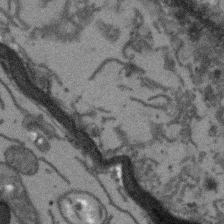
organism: Arabidopsis thaliana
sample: Root tip